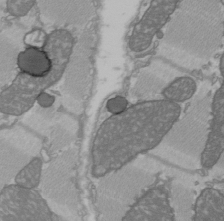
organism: C57BL Mouse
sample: Heart